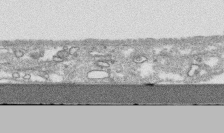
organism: Human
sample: CRL-1474